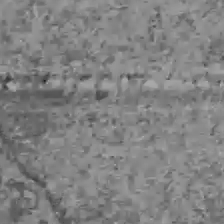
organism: C57BL Mouse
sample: Liver